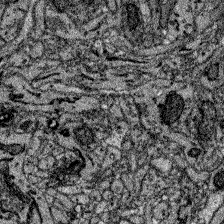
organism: Zebrafish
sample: Larval olfactory bulb